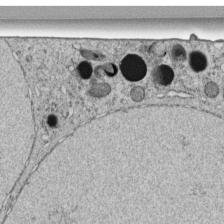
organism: C. elegans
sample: C. elegans embryo early stage